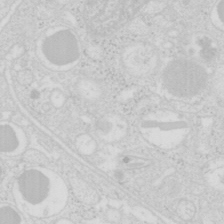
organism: Mouse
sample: Pancreas